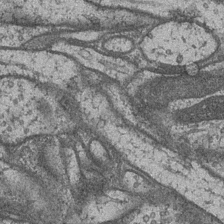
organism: Drosophila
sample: Optic medulla